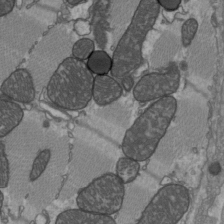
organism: C57BL Mouse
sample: Heart